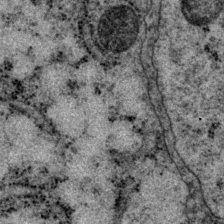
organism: P. pacificus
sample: Pharynx